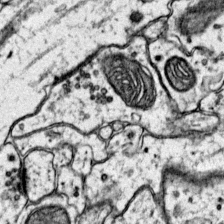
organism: Mouse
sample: Primary visual cortex